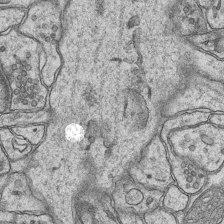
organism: Mouse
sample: CA1 Hippocampus